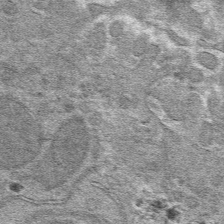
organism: Mouse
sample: Mouse hepatocytes